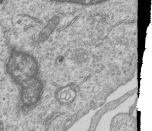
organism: Human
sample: MDA-MB-231 cells